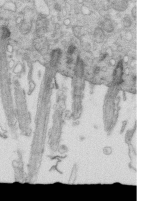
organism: Mouse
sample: Multiciliated cells